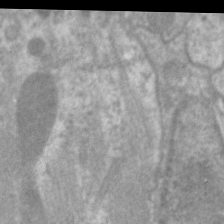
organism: C. elegans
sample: Pharynx